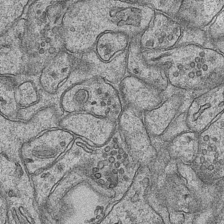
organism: Mouse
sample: CA1 Hippocampus